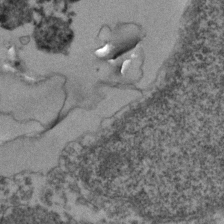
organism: Zebrafish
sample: Zebrafish embryo